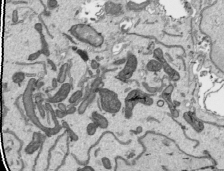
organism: Human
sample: Mitochondria in HCT116 cells